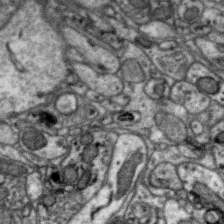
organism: Zebra finch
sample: Brain